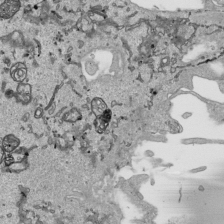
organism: Human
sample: Mitochondria in HCT116 cells